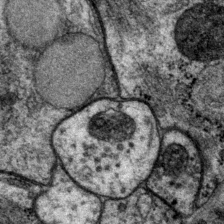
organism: P. pacificus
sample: Pharynx